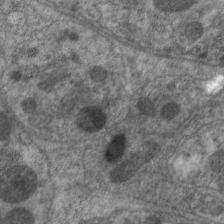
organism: C. elegans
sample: Pharynx